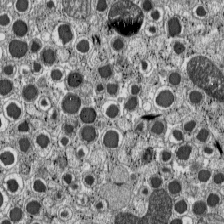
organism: C57BL Mouse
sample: Pancreatic islet